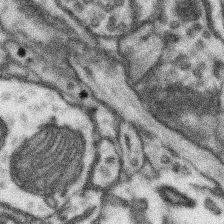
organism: Mouse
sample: Somatosensory cortex neuropil